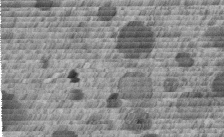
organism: C. elegans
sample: C. elegans embryo early stage